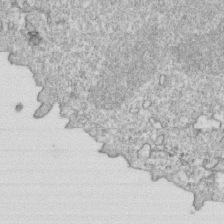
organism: Mouse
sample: Activated OT-1 CD8+ T cells